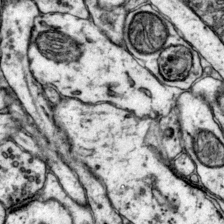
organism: Mouse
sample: Primary visual cortex